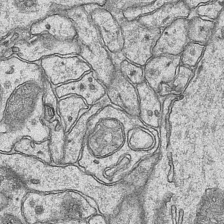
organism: Mouse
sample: CA1 Hippocampus